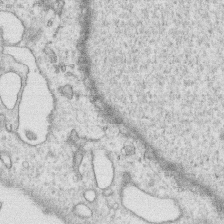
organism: Human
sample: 1205lu cells